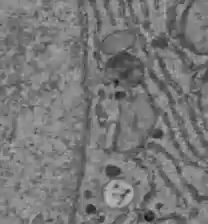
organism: C57BL Mouse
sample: Liver